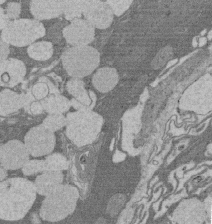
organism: Rat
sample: Salivary granule